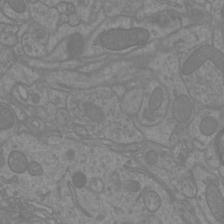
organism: Mouse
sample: Cortical neurons